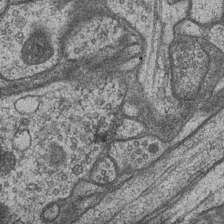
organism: Drosophila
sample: Optic medulla